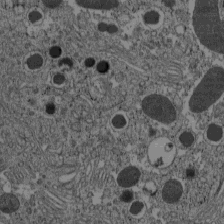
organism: C57BL Mouse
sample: Pancreatic islet